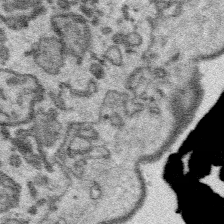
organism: Platynereis dumerilii